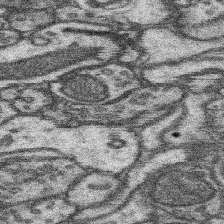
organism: Mouse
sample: Somatosensory cortex neuropil